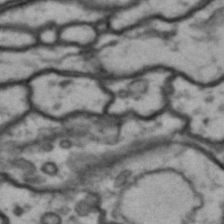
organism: Drosophila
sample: Brain